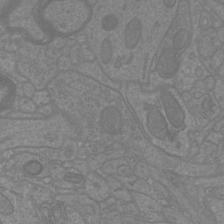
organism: Mouse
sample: Cortical neurons